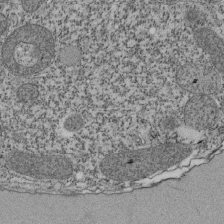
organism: Tetrahymena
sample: Cilia in tetrahymena